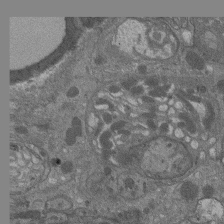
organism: Drosophila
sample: Antenna